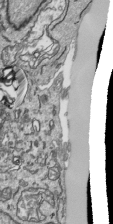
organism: Human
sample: Mitochondria in HCT116 cells